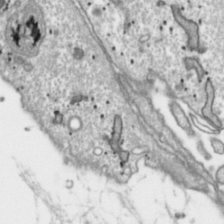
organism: Toxoplasma gondii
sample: Parasites in a vacuole inside a host cell